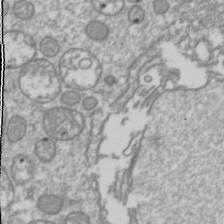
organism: Drosophila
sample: Cell division; meiosis; drosophila spermatocytes